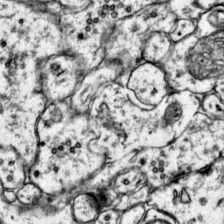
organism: Mouse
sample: Primary visual cortex